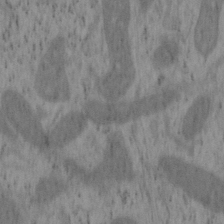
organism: Mouse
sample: OT-I killer T cells with ID8 ovarian cancer cells